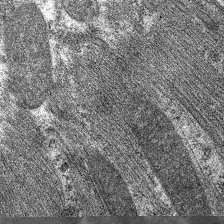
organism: C. elegans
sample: Pharynx